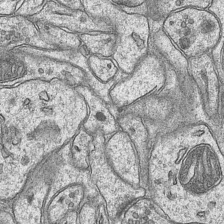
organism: Mouse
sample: CA1 Hippocampus